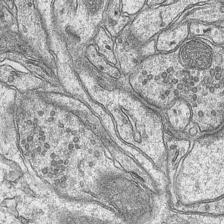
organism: Mouse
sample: CA1 Hippocampus